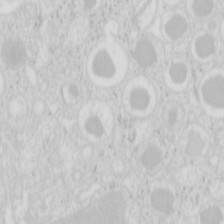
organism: Mouse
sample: Pancreas